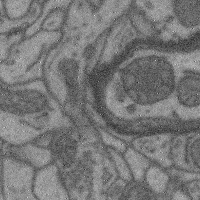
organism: Mouse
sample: Cerebral cortex